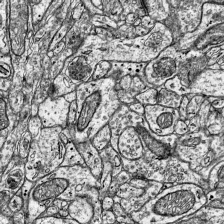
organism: Mouse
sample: Visual Cortex